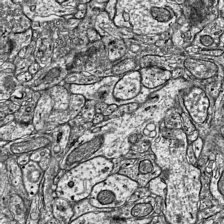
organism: Mouse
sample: Visual Cortex